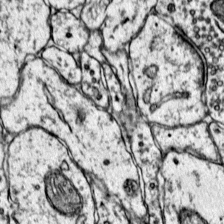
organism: Mouse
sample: Primary visual cortex